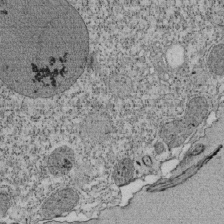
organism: Tetrahymena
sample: Cilia in tetrahymena